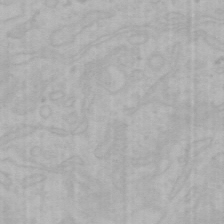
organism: Mouse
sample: Choroid plexus